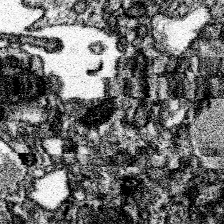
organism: Spongilla lacustris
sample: Neuroid cell